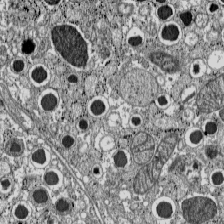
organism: C57BL Mouse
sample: Pancreatic islet